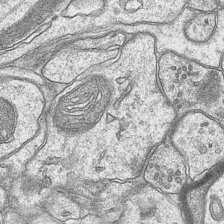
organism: Mouse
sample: CA1 Hippocampus